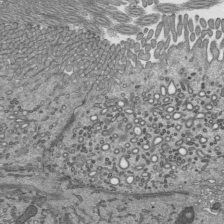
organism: Mouse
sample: Mouse epididymis efferent ductule cilia